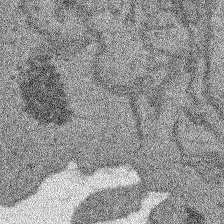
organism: Human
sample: HeLa cells